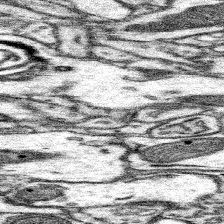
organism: Mouse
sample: Somatosensory cortex neuropil